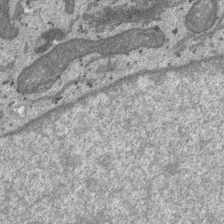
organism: Human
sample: Lung epithelial cells infected with SARS-CoV-2